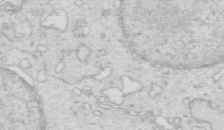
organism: Mouse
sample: Multiciliated cells